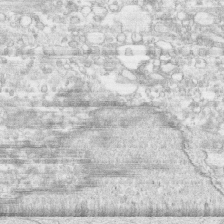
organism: Human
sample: CRL-1474